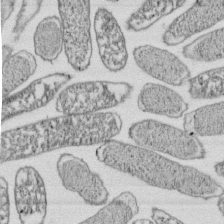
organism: E. coli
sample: Bacterial nucleoid